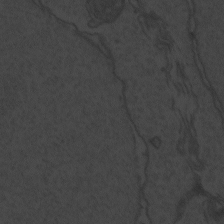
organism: Zebrafish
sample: Macrophage infected with Toxoplasma gondii